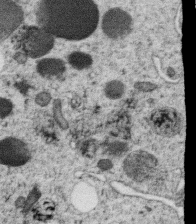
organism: C. elegans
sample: C. elegans oocyte; sperm cells